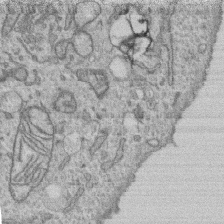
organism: Human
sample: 1205lu cells